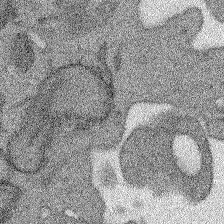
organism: Human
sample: HeLa cells